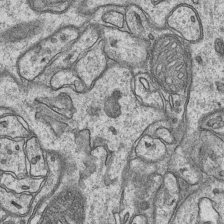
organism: Mouse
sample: CA1 Hippocampus